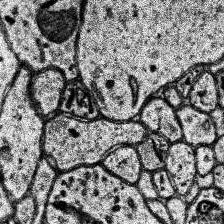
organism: Human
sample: Temporal Lobe